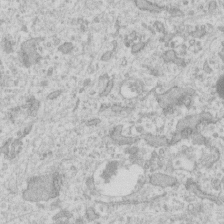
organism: Human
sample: Fibroblast cells